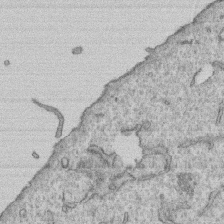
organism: Human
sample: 1205lu cells